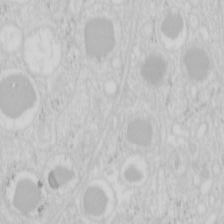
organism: Mouse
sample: Pancreas